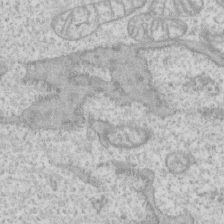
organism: Human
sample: CRL-1474